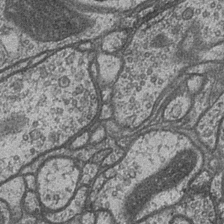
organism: Drosophila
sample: Optic medulla